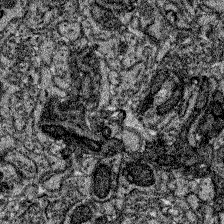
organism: Zebrafish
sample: Larval olfactory bulb